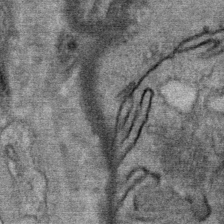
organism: Mouse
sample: Mouse Salivary gland